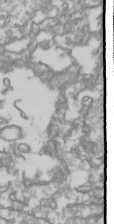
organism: Drosophila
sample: Cell division; meiosis; drosophila spermatocytes